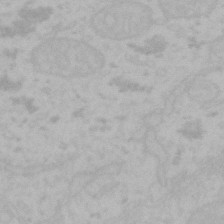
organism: Mouse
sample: Choroid plexus